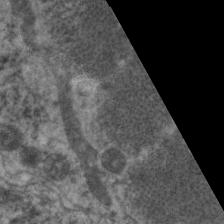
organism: C. elegans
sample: Pharynx